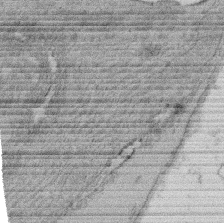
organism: Rat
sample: Salivary granule